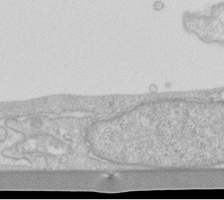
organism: Human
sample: Fibroblast cells